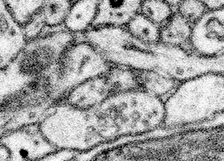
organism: Mouse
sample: Somatosensory cortex neuropil